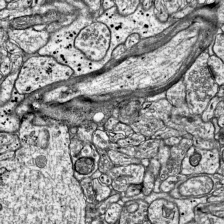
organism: Mouse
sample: Visual Cortex